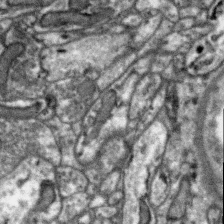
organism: Zebra finch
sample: Brain